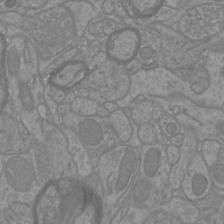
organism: Mouse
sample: Cortical neurons